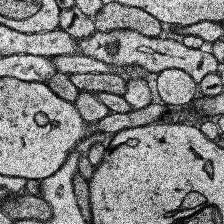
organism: Human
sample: Temporal Lobe